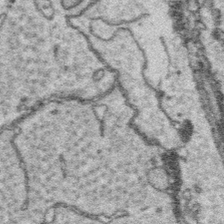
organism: Platynereis dumerilii